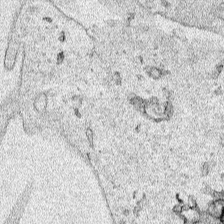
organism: Human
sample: Mitochondria in HCT116 cells